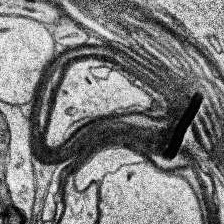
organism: Human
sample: Temporal Lobe